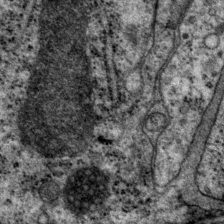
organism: P. pacificus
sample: Pharynx